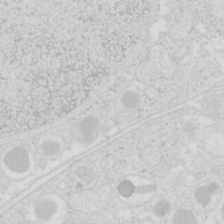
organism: Mouse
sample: Pancreas